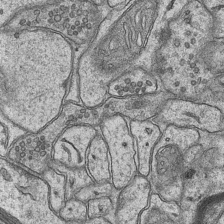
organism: Mouse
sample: CA1 Hippocampus